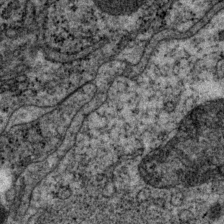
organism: P. pacificus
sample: Pharynx